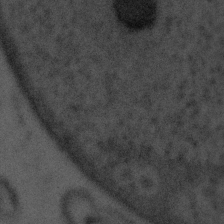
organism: Tuwongella immobilis